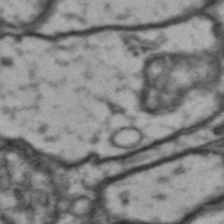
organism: Drosophila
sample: Brain